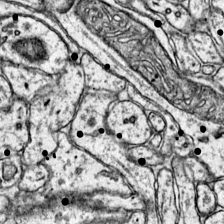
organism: Mouse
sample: Primary visual cortex